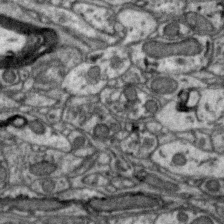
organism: Zebra finch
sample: Brain